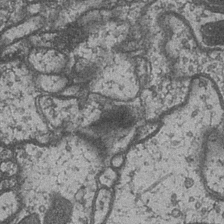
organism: Drosophila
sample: Optic medulla